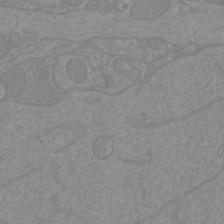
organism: Mouse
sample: Cortical neurons